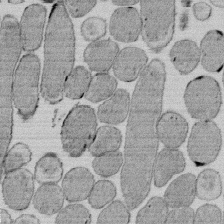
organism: E. coli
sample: Bacterial nucleoid